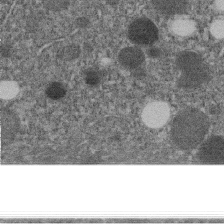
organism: C. elegans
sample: C. elegans embryo early stage